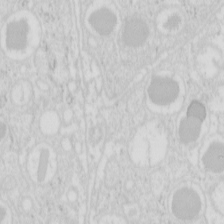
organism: Mouse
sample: Pancreas